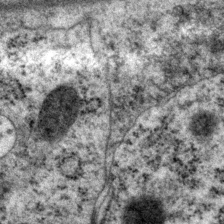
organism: P. pacificus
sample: Pharynx